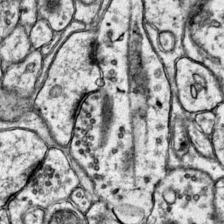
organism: Mouse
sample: Primary visual cortex